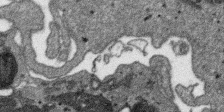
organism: Human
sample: Lung epithelial cells infected with SARS-CoV-2